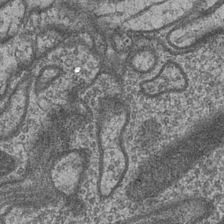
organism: Drosophila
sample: Optic medulla